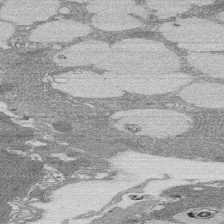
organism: Rat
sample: Salivary granule